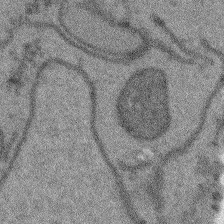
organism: Arabidopsis thaliana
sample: Root tip